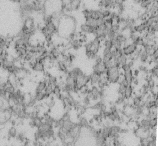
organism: Mouse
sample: Cilia; retinal pigment epithelium